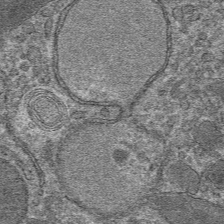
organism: Mouse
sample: Mouse hepatocytes